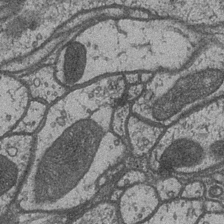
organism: Drosophila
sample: Optic medulla